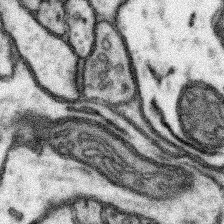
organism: Mouse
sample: Somatosensory cortex neuropil